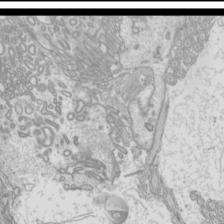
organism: Mouse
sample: Cilia; mouse epididymis